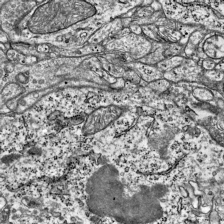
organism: Mouse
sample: Visual Cortex